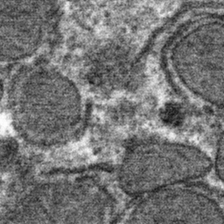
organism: Mouse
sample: Mouse hepatocytes